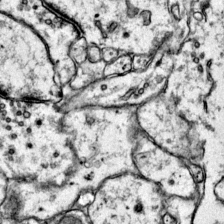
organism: Mouse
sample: Primary visual cortex